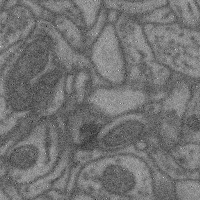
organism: Mouse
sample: Cerebral cortex